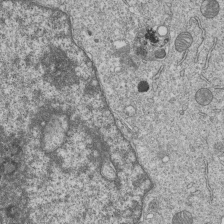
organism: Human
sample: MDA-MB-231 cells